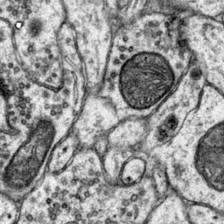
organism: Mouse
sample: Primary visual cortex